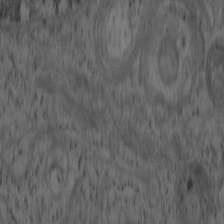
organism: Human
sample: HeLa cells